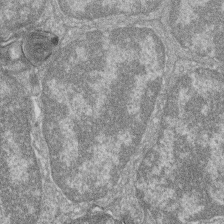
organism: Zebrafish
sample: Cilia; retinal pigment epithelium